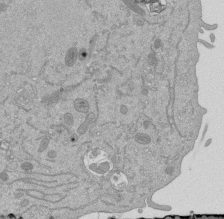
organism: Mouse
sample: ED-1 cell nuclei; centrioles